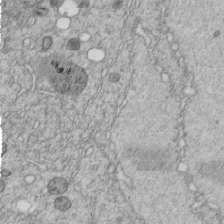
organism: C. elegans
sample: C. elegans embryo early stage